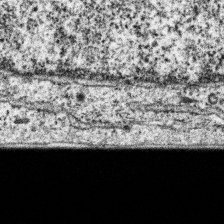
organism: Human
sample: HeLa cells